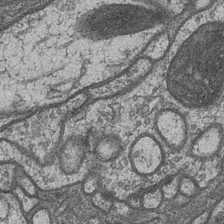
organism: Drosophila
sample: Optic medulla